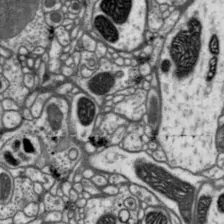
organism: Drosophila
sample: Protocerebral bridge